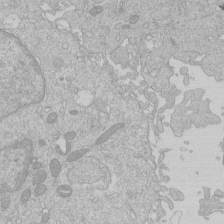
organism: Human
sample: Macrophage cells